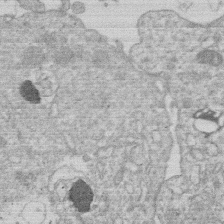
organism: Human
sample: Macrophage cells